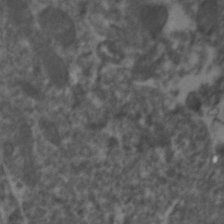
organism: Zebrafish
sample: Zebrafish embryo